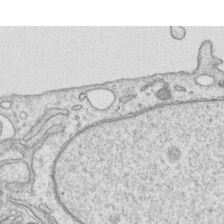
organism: Human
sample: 1205lu cells